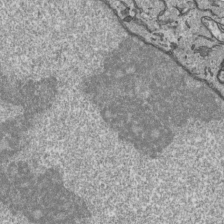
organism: Human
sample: Mitochondria in HCT116 cells